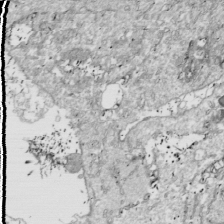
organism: Drosophila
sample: Cell division; meiosis; drosophila spermatocytes